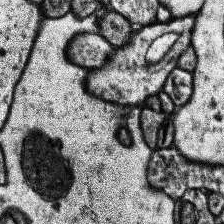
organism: Human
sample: Temporal Lobe